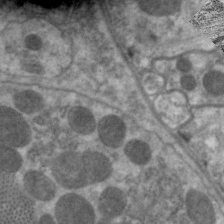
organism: C. elegans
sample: Pharynx